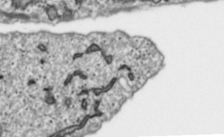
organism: Toxoplasma gondii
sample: Parasites in a vacuole inside a host cell